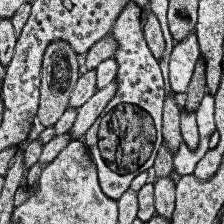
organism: Human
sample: Temporal Lobe